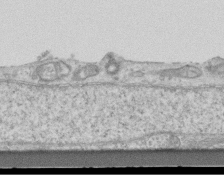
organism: Mouse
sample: Centriole in ependymal cells